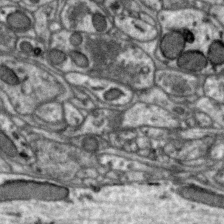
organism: Zebra finch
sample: Brain